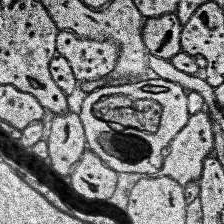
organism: Human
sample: Temporal Lobe